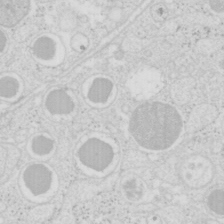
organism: Mouse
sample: Pancreas